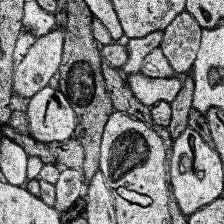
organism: Human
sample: Temporal Lobe